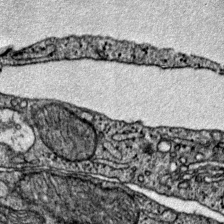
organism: Mouse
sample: Primary visual cortex